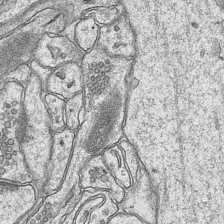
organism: Mouse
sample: CA1 Hippocampus